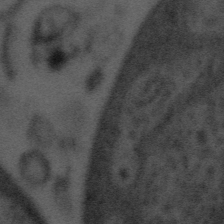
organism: Tuwongella immobilis